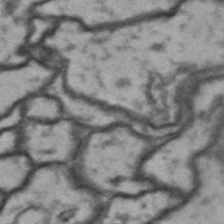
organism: Drosophila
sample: Brain